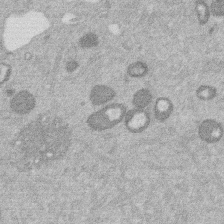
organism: Mouse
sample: Dividing mouse embryo 1 cell stage